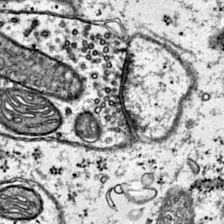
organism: Mouse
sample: Primary visual cortex